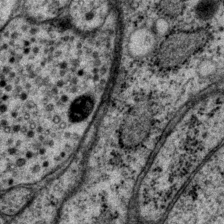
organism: P. pacificus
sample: Pharynx